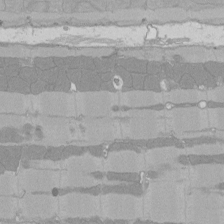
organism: Rat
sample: Left ventricle